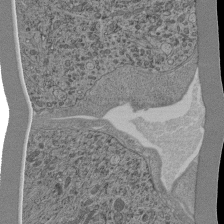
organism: C. elegans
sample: C. elegans pharynx